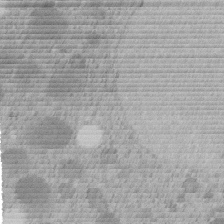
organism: C. elegans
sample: C. elegans embryo early stage